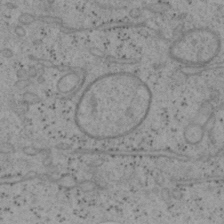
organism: Human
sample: HeLa cells